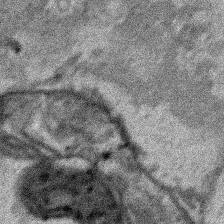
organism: Human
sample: Mitochondria in HCT116 cells